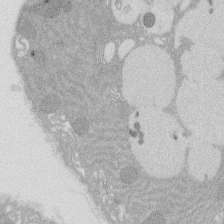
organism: Rat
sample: Salivary granule